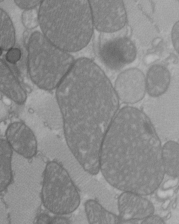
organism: C57BL Mouse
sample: Heart